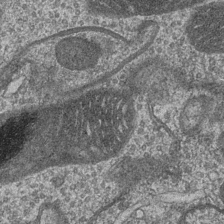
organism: Drosophila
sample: Optic medulla